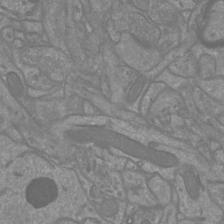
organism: Mouse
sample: Cortical neurons